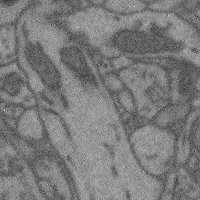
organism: Mouse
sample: Cerebral cortex